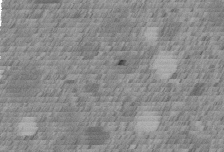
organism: C. elegans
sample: C. elegans embryo early stage